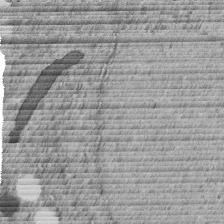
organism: C. elegans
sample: C. elegans embryo early stage